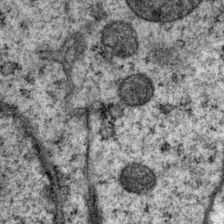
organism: P. pacificus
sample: Pharynx